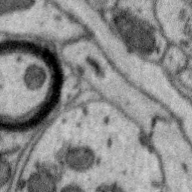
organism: Zebra finch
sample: Brain